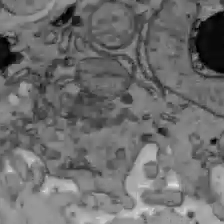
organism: C57BL Mouse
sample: Liver